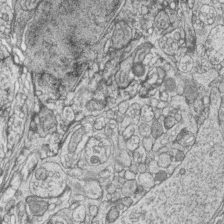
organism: Zebrafish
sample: synaptic ribbons in rod cells and cone cells